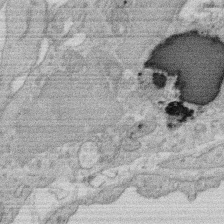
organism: Rat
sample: Salivary granule